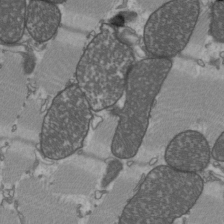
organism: C57BL Mouse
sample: Heart